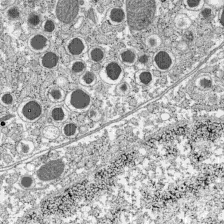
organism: C57BL Mouse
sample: Pancreatic islet